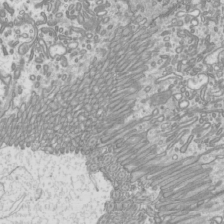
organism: Mouse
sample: Cilia; mouse epididymis